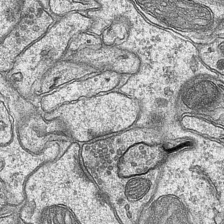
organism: Mouse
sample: CA1 Hippocampus